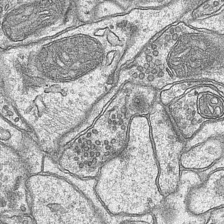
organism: Mouse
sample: CA1 Hippocampus